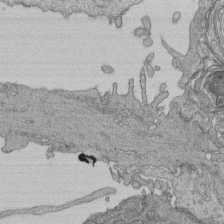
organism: Human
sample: Retinal organoid Rod and Cone cells